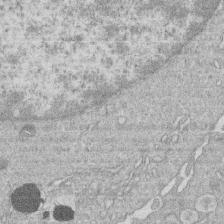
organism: Human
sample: Macrophage cells